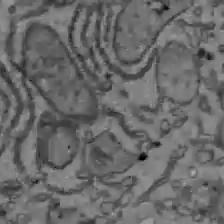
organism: C57BL Mouse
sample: Liver